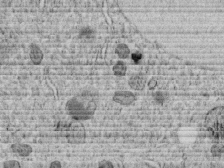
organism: C. elegans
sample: C. elegans embryo early stage